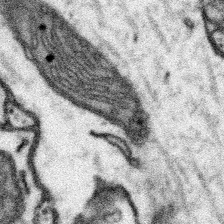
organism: Mouse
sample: Somatosensory cortex neuropil